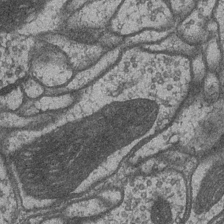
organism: Drosophila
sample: Optic medulla